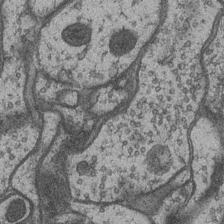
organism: Drosophila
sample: Optic medulla